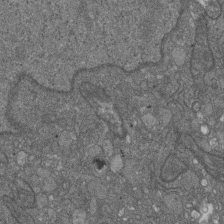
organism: Drosophila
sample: Nephrocyte